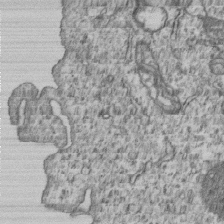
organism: Human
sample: MDA-MB-231 cells